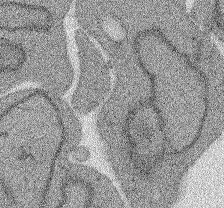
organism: Human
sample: HeLa cells